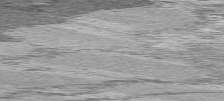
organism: C57BL Mouse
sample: Heart